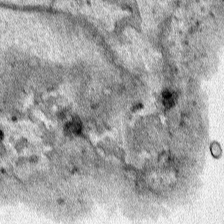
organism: Human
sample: Mitochondria in HCT116 cells